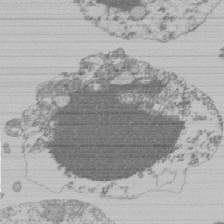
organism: Mouse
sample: Activated Pmel transgenic CD8+ T Cells